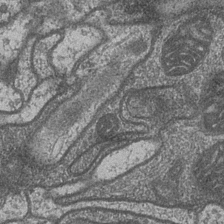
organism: Drosophila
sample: Optic medulla